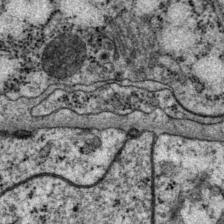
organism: P. pacificus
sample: Pharynx